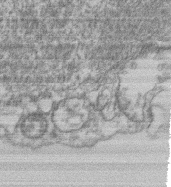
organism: Mouse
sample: T cell stromal cell synapse